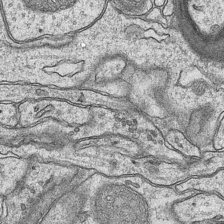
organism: Mouse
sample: CA1 Hippocampus